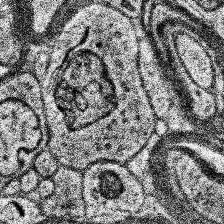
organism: Human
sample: Temporal Lobe